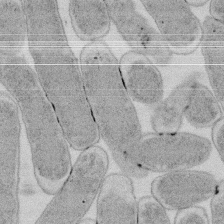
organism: E. coli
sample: Bacterial nucleoid